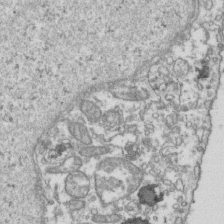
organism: Human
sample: Activated Jurkat CD4+ T cells